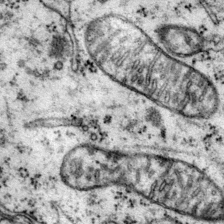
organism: Mouse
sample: Primary visual cortex